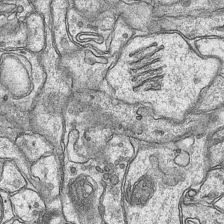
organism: Mouse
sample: CA1 Hippocampus